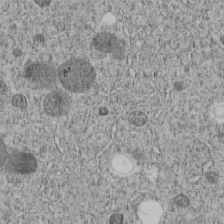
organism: C. elegans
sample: C. elegans embryo early stage